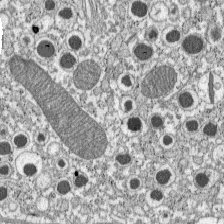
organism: C57BL Mouse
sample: Pancreatic islet